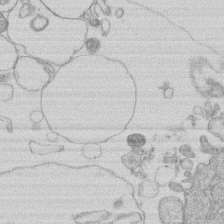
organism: Human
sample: Macrophage cells